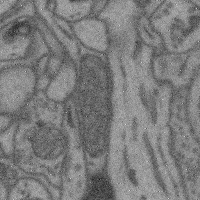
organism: Mouse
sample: Cerebral cortex